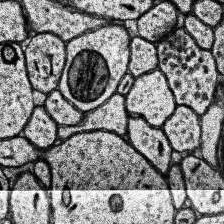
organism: Human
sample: Temporal Lobe